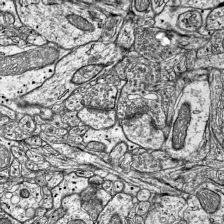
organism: Mouse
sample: Visual Cortex